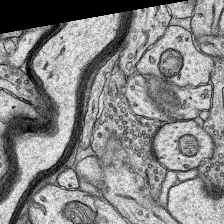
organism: Rat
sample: Hippocampus